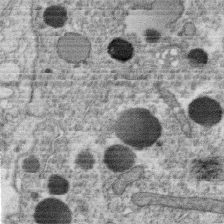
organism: C. elegans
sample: C. elegans oocyte; sperm cells